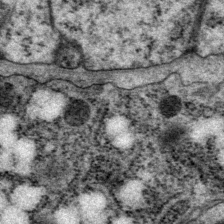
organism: P. pacificus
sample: Pharynx